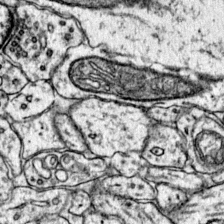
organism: Mouse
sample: Primary visual cortex